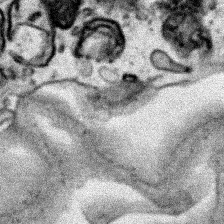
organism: Human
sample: Mitochondria in HCT116 cells